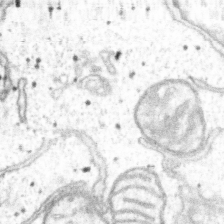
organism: Human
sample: HeLa cells